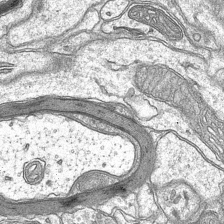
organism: Mouse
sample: CA1 Hippocampus